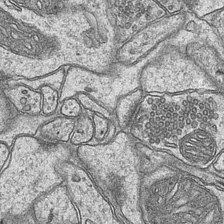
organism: Mouse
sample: CA1 Hippocampus